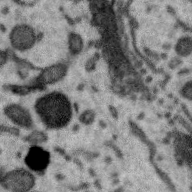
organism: Zebra finch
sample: Brain